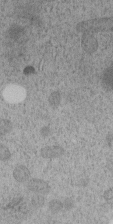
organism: C. elegans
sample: C. elegans embryo early stage